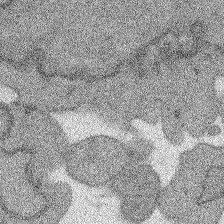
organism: Human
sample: HeLa cells